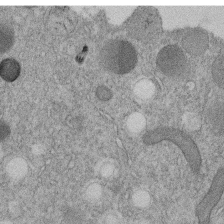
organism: C. elegans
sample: C. elegans embryo early stage